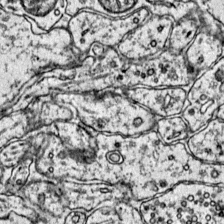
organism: Mouse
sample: Primary visual cortex